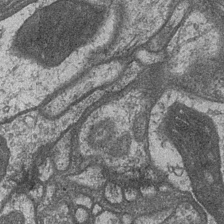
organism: Drosophila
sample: Optic medulla